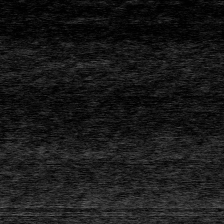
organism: Human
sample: HeLa cells